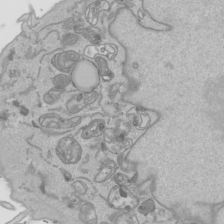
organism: Human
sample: Mitochondria in HCT116 cells